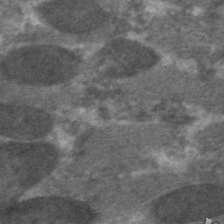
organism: C. elegans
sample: Pharynx